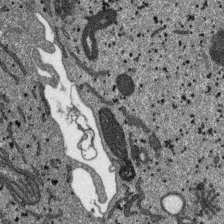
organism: Human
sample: Lung epithelial cells infected with SARS-CoV-2